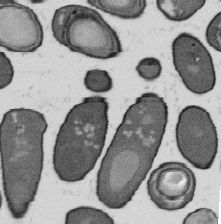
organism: B. subtilis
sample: Bacterial spore